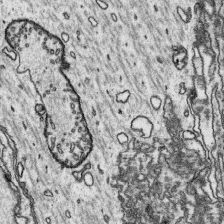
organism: Platynereis dumerilii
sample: Parapodia